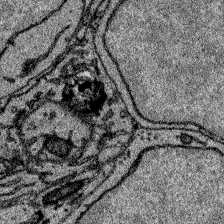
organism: Zebrafish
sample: Larval olfactory bulb